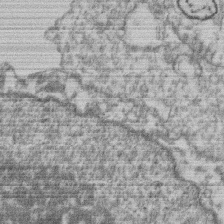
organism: Mouse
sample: T cell stromal cell synapse